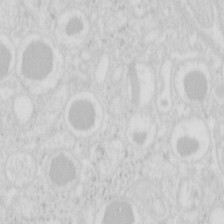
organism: Mouse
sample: Pancreas